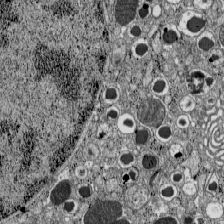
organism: C57BL Mouse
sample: Pancreatic islet